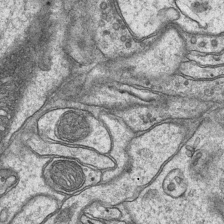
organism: Mouse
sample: CA1 Hippocampus